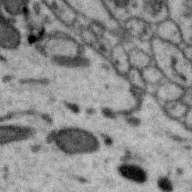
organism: Zebra finch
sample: Brain